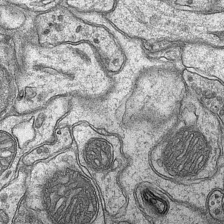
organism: Mouse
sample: CA1 Hippocampus